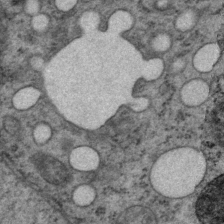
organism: P. pacificus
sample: Pharynx